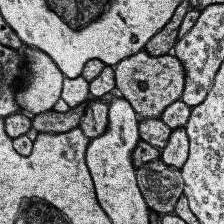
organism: Human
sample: Temporal Lobe